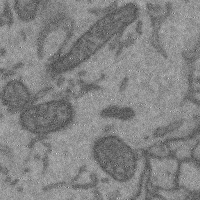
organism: Mouse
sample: Cerebral cortex